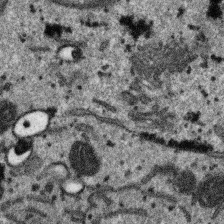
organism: Human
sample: Lung epithelial cells infected with SARS-CoV-2